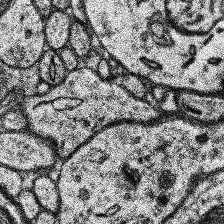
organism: Human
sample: Temporal Lobe